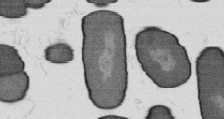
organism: B. subtilis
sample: Bacterial spore